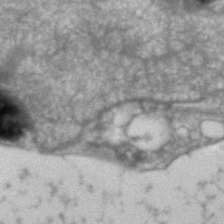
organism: Human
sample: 1205lu cells